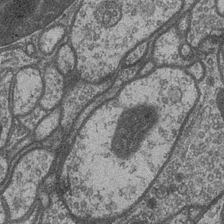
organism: Drosophila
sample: Optic medulla